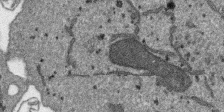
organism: Human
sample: Lung epithelial cells infected with SARS-CoV-2